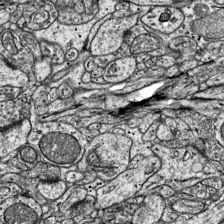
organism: Mouse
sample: Visual Cortex